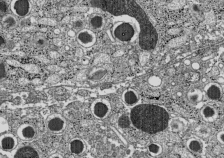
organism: C57BL Mouse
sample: Pancreatic islet